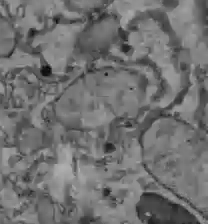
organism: C57BL Mouse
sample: Liver